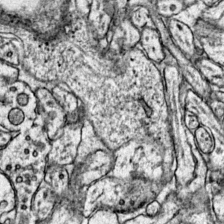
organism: Mouse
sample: Primary visual cortex